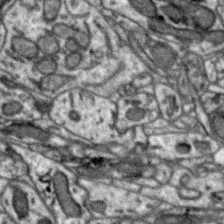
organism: Zebra finch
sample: Brain